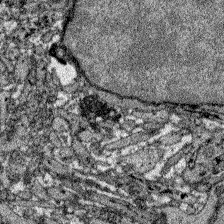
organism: Zebrafish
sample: Larval olfactory bulb